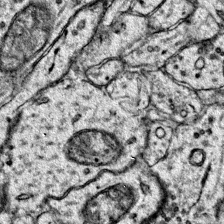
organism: Mouse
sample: Primary visual cortex